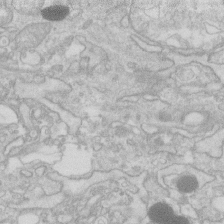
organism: Human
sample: Fibroblast cells